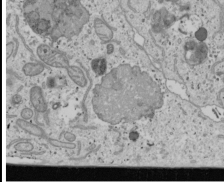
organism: Human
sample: Mitochondria in U2OS cells